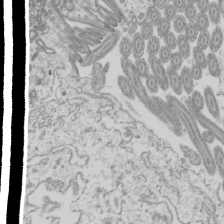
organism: Mouse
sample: Cilia; mouse epididymis